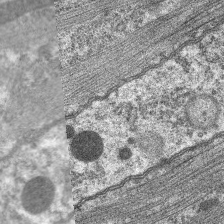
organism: C. elegans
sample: Pharynx